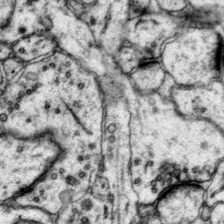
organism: Mouse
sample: Primary visual cortex